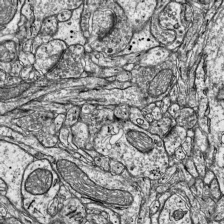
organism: Mouse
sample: Visual Cortex